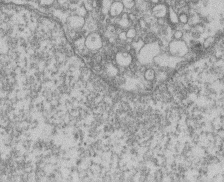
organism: Mouse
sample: T cell stromal cell synapse